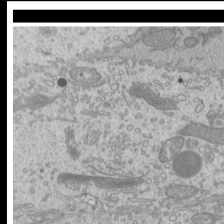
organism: Mouse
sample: Cilia; mouse epididymis